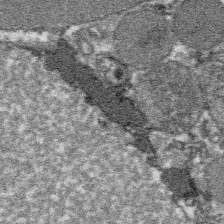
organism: Platynereis dumerilii